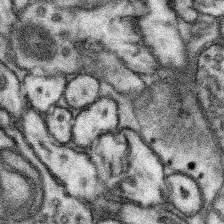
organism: Mouse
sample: Somatosensory cortex neuropil